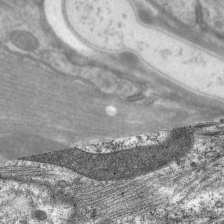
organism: C. elegans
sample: Pharynx